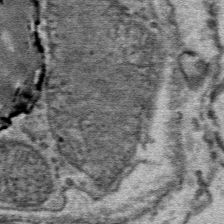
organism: Mouse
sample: Mouse Salivary gland